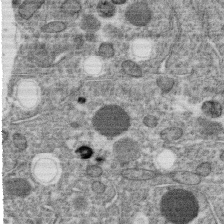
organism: C. elegans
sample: C. elegans oocyte; sperm cells